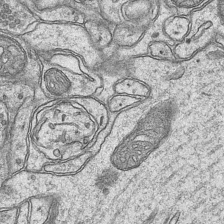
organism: Mouse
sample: CA1 Hippocampus